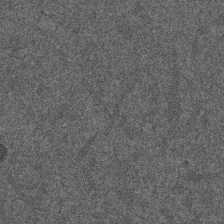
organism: Mouse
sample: Dividing mouse embryo 1 cell stage